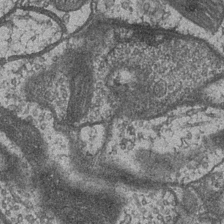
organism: Drosophila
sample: Optic medulla